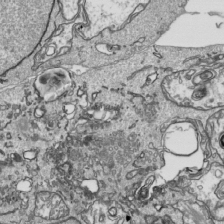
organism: Human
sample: Mitochondria in HCT116 cells